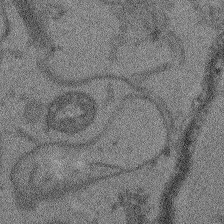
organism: Arabidopsis thaliana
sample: Root tip